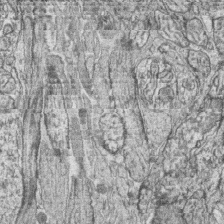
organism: Zebrafish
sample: synaptic ribbons in rod cells and cone cells